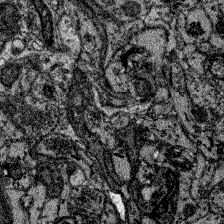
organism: Zebrafish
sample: Larval olfactory bulb